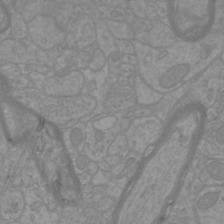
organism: Mouse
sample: Cortical neurons